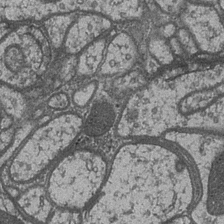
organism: Drosophila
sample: Optic medulla